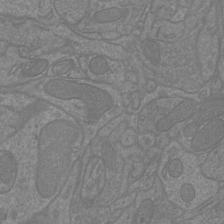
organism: Mouse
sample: Cortical neurons